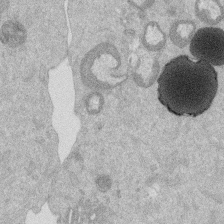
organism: Mouse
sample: Dividing mouse embryo 1 cell stage